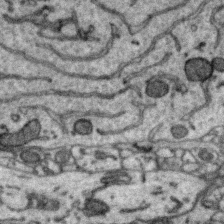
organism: Zebra finch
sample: Brain